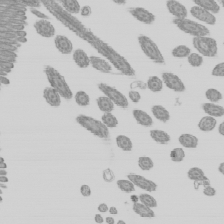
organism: Mouse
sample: Cilia; mouse epididymis